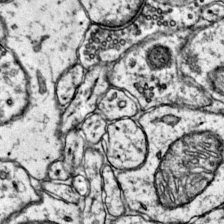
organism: Mouse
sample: Primary visual cortex